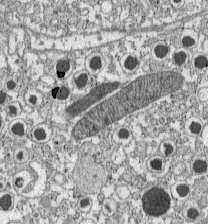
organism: C57BL Mouse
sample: Pancreatic islet